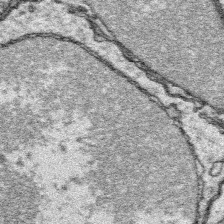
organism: Platynereis dumerilii